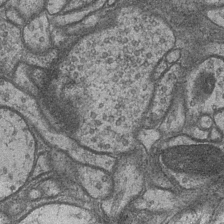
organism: Drosophila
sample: Optic medulla